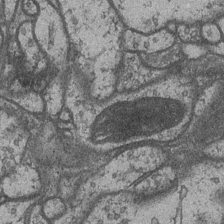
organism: Drosophila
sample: Optic medulla